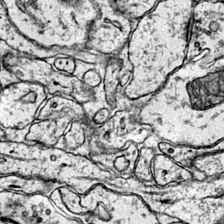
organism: Mouse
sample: Primary visual cortex